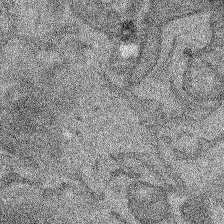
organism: Human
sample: HeLa cells